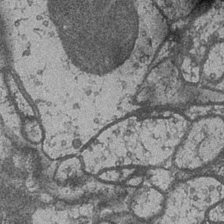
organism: Drosophila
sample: Optic medulla